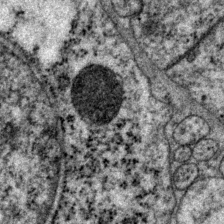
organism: P. pacificus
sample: Pharynx